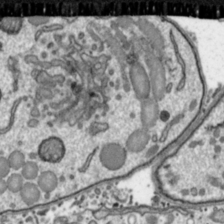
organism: Toxoplasma gondii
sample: Parasites in a vacuole inside a host cell